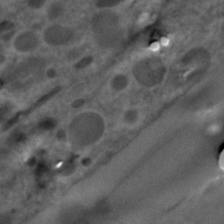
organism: C. elegans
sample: C. elegans embryo